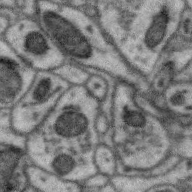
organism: Zebra finch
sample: Brain